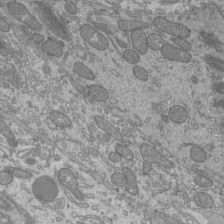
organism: Mouse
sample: Cilia; mouse epididymis